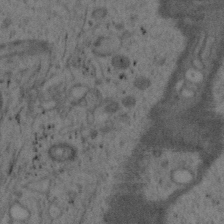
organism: Human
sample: HeLa cells